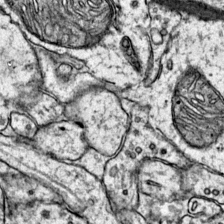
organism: Mouse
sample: Primary visual cortex